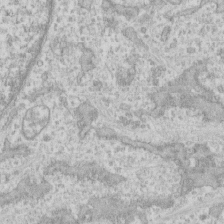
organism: Human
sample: CRL-1474